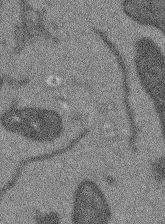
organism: Arabidopsis thaliana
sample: Root tip